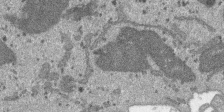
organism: Human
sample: Lung epithelial cells infected with SARS-CoV-2